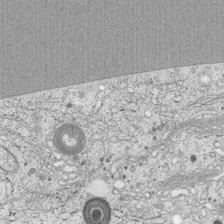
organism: African green monkey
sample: COS-7 cells